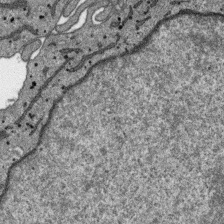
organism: Human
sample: Lung epithelial cells, uninfected (mock) control